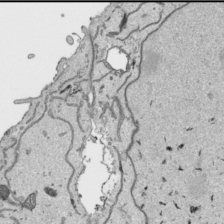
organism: Human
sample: Mitochondria in HCT116 cells